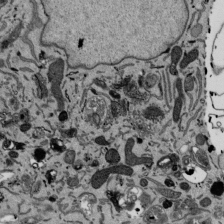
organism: Mouse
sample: ED-1 cell nuclei; centrioles